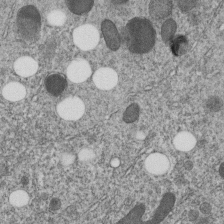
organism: C. elegans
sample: C. elegans embryo early stage